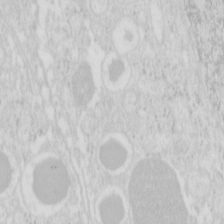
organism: Mouse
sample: Pancreas